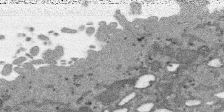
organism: Human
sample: Lung epithelial cells infected with SARS-CoV-2